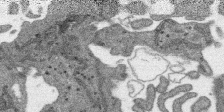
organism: Human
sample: Lung epithelial cells infected with SARS-CoV-2